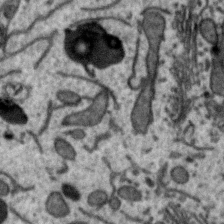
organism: Zebra finch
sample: Brain